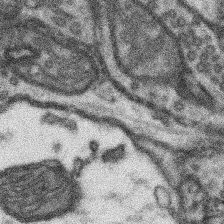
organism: Mouse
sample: Somatosensory cortex neuropil